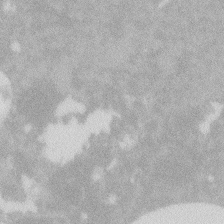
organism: Zebrafish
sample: Macrophage